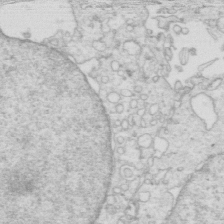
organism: Mouse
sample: Multiciliated cells